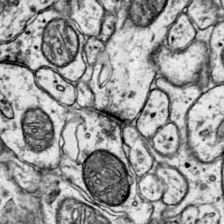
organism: Mouse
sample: Primary visual cortex